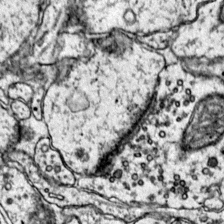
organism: Mouse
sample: Primary visual cortex